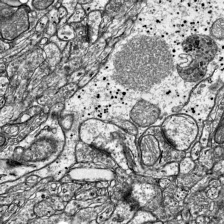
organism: Mouse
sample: Visual Cortex